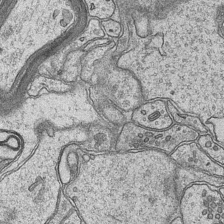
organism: Mouse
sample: CA1 Hippocampus